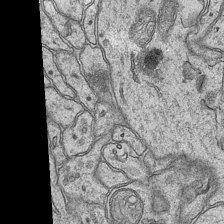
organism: Mouse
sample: CA1 Hippocampus